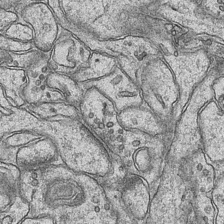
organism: Mouse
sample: CA1 Hippocampus